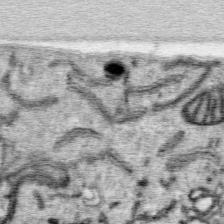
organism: Human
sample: HeLa cells